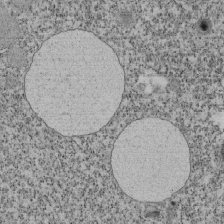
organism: Tetrahymena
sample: Cilia in tetrahymena